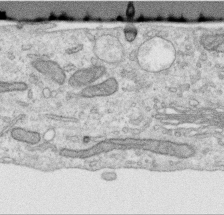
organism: Human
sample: Centriole in RPE cells